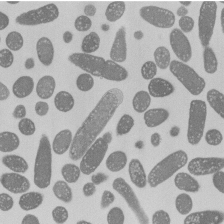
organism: E. coli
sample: Bacterial nucleoid